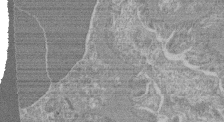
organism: Mouse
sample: Glomerulus